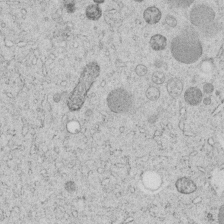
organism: C. elegans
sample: C. elegans embryo early stage